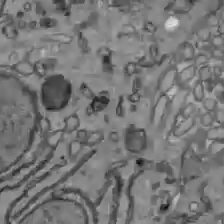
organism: C57BL Mouse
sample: Liver